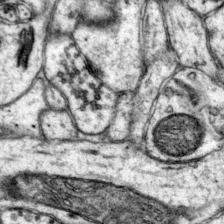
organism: Mouse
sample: Primary visual cortex